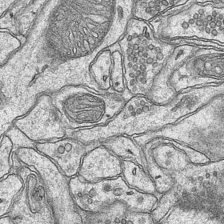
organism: Mouse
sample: CA1 Hippocampus